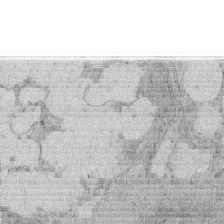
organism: Rat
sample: Salivary granule